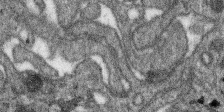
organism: Human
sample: Lung epithelial cells infected with SARS-CoV-2